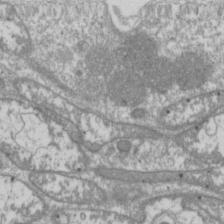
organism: Drosophila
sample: Cell division; meiosis; drosophila spermatocytes